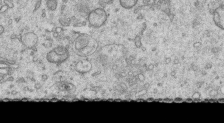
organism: Human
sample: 1205lu cells